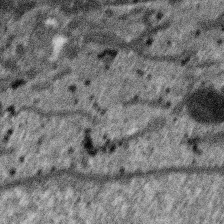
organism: Human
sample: Lung epithelial cells infected with SARS-CoV-2